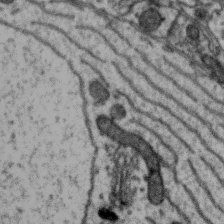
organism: Zebra finch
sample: Brain